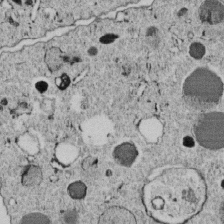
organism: C. elegans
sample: C. elegans embryo early stage